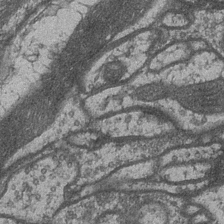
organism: Drosophila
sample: Optic medulla